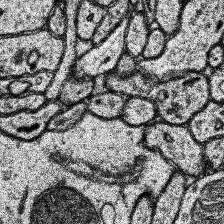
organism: Human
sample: Temporal Lobe